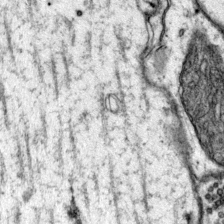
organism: Mouse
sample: Primary visual cortex